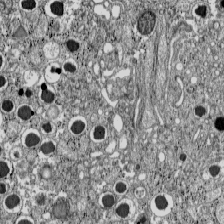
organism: C57BL Mouse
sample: Pancreatic islet